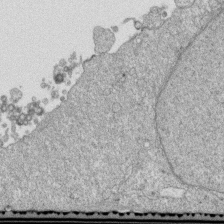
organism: Human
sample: HeLa cell HIV synapse